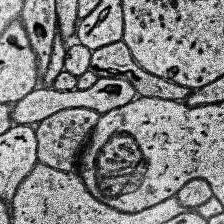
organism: Human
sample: Temporal Lobe